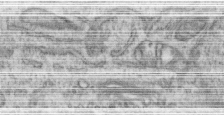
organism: Human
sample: Centriole in RPE cells